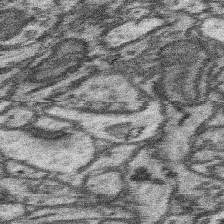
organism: Mouse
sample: Somatosensory cortex neuropil